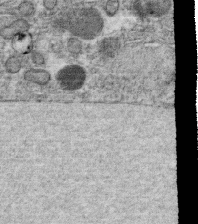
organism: C. elegans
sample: C. elegans oocyte; sperm cells